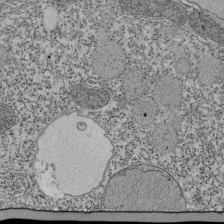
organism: Tetrahymena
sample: Cilia in tetrahymena